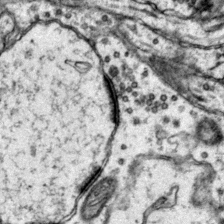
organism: Mouse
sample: Primary visual cortex